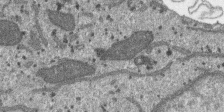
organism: Human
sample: Lung epithelial cells infected with SARS-CoV-2